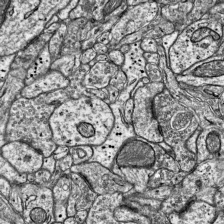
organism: Mouse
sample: Visual Cortex